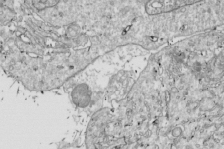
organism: Drosophila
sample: Cell division; meiosis; drosophila spermatocytes